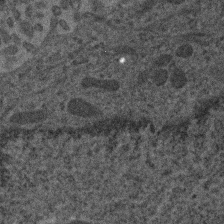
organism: Human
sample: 1205lu cells